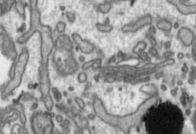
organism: Toxoplasma gondii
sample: Parasites in a vacuole inside a host cell